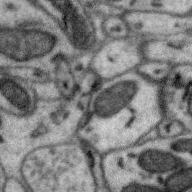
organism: Zebra finch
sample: Brain